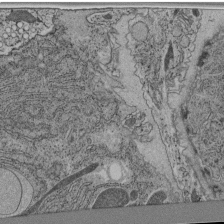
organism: C. elegans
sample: C. elegans pharynx